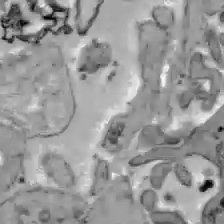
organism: C57BL Mouse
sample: Liver